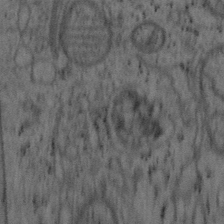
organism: Human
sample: HeLa cells